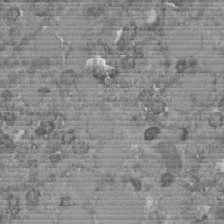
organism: C. elegans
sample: C. elegans embryo early stage